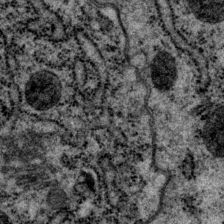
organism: P. pacificus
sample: Pharynx